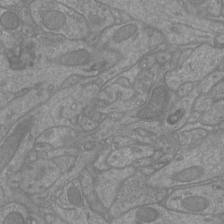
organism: Mouse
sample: Cortical neurons